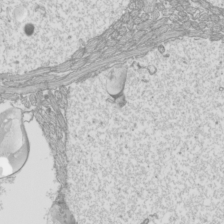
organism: Mouse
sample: Cilia; mouse epididymis